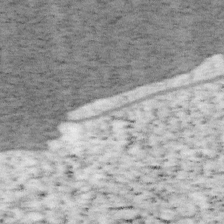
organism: Mouse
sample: OT-I killer T cells with ID8 ovarian cancer cells